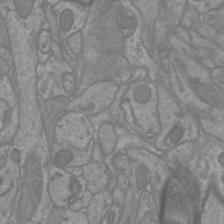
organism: Mouse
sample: Cortical neurons